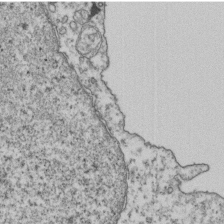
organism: Human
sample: Activated Jurkat CD4+ T cells